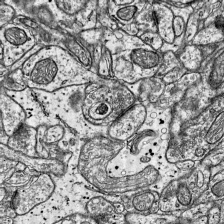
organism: Mouse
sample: Visual Cortex